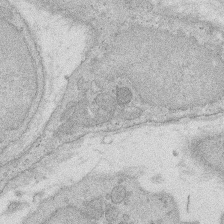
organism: Rat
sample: Salivary granule